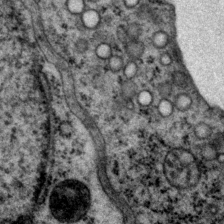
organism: P. pacificus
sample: Pharynx